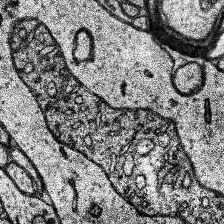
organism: Human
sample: Temporal Lobe